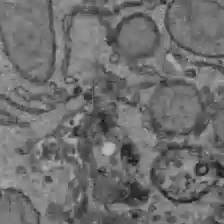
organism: C57BL Mouse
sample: Liver